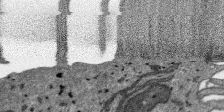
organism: Human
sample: Lung epithelial cells, uninfected (mock) control